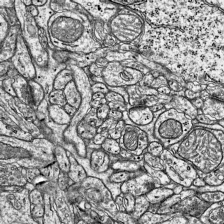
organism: Mouse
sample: Visual Cortex